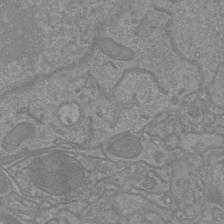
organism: Mouse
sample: Cortical neurons